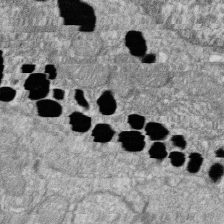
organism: Zebrafish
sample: Cilia; retinal pigment epithelium